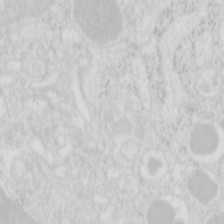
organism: Mouse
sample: Pancreas